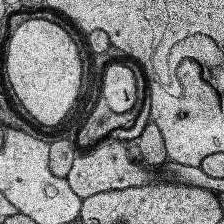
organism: Human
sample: Temporal Lobe